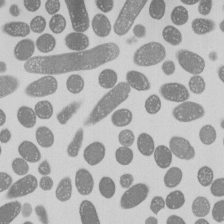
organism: E. coli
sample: Bacterial nucleoid